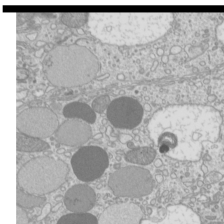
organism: Mouse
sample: Cilia; mouse epididymis